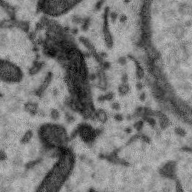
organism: Zebra finch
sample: Brain